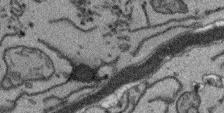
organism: Arabidopsis thaliana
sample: Root tip